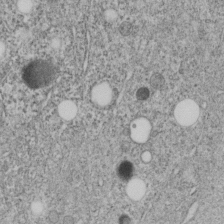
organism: C. elegans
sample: C. elegans embryo early stage